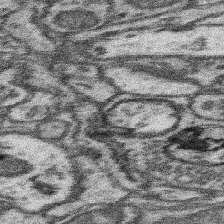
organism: Mouse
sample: Somatosensory cortex neuropil